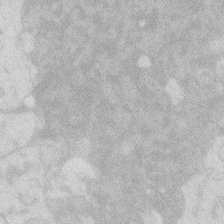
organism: Zebrafish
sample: Macrophage